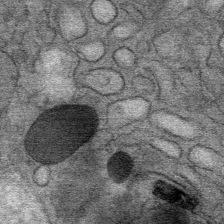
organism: Mouse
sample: Mouse Salivary gland